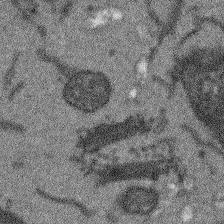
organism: Arabidopsis thaliana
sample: Root tip